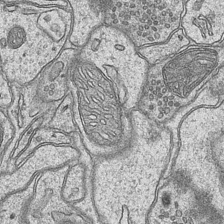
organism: Mouse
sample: CA1 Hippocampus